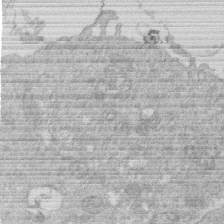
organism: Human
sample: Macrophage cells